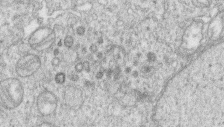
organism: Human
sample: HeLa cell HIV synapse